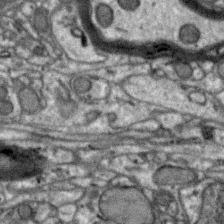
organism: Zebra finch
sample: Brain